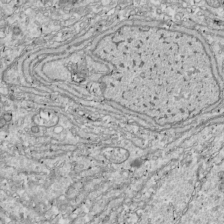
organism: Drosophila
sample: Cell division; meiosis; drosophila spermatocytes